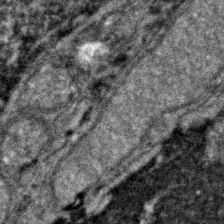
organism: Zebrafish